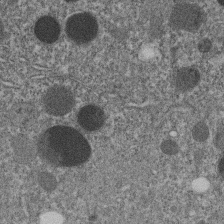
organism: C. elegans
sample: C. elegans embryo early stage